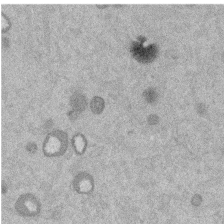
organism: Mouse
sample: Dividing mouse embryo 1 cell stage